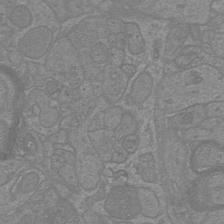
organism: Mouse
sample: Cortical neurons